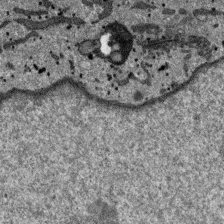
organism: Human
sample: Lung epithelial cells, uninfected (mock) control